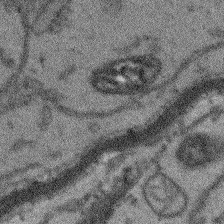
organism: Arabidopsis thaliana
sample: Root tip